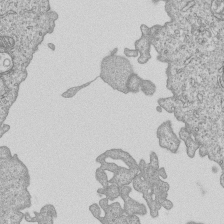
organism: Human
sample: MDA-MB-231 cells